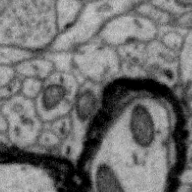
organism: Zebra finch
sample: Brain